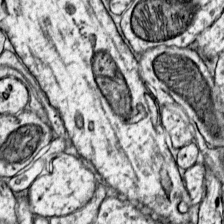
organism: Mouse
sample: Primary visual cortex